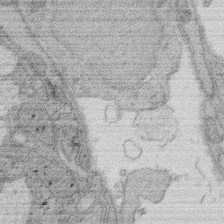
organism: Rat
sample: Salivary granule